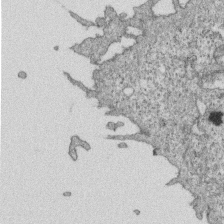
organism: Human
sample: HeLa cell HIV synapse